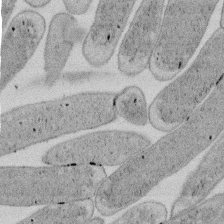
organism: E. coli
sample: Bacterial nucleoid